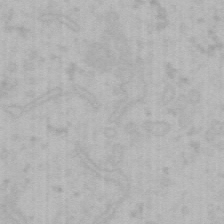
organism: Mouse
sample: Choroid plexus